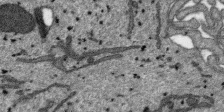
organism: Human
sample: Lung epithelial cells, uninfected (mock) control